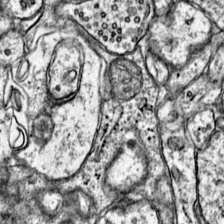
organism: Mouse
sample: Primary visual cortex